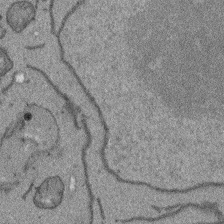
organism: Arabidopsis thaliana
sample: Root tip